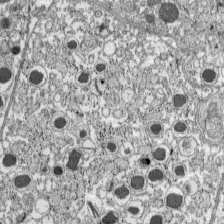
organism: C57BL Mouse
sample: Pancreatic islet